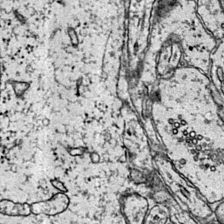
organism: Mouse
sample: Primary visual cortex